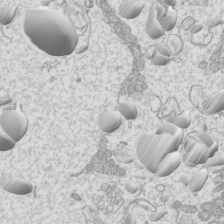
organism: Mouse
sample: Cilia; mouse epididymis